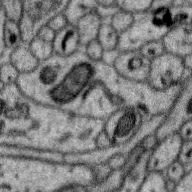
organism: Zebra finch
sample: Brain